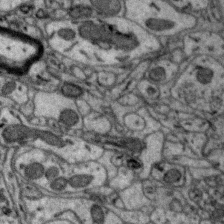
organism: Zebra finch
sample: Brain